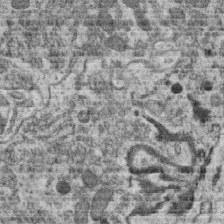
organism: C. elegans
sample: C. elegans oocyte; sperm cells